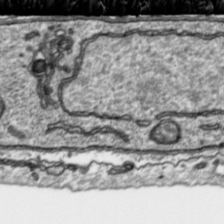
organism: Toxoplasma gondii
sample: Parasites in a vacuole inside a host cell